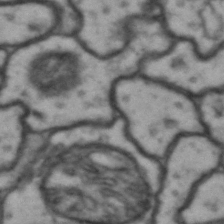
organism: Drosophila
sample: Brain